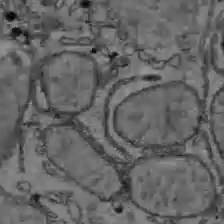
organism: C57BL Mouse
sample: Liver